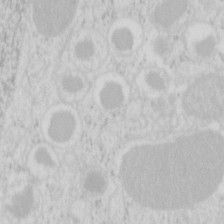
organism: Mouse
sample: Pancreas